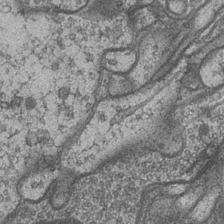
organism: Drosophila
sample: Optic medulla